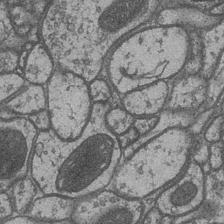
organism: Drosophila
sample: Optic medulla